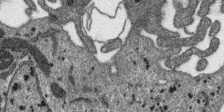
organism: Human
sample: Lung epithelial cells infected with SARS-CoV-2